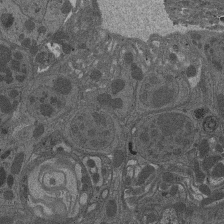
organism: Drosophila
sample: Antenna